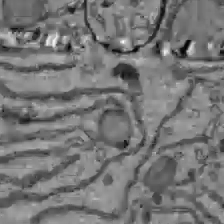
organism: C57BL Mouse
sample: Liver